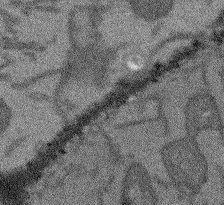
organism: Arabidopsis thaliana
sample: Root tip